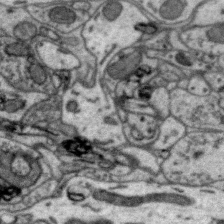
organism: Zebra finch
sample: Brain